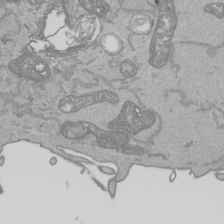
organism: Human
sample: Mitochondria in HCT116 cells